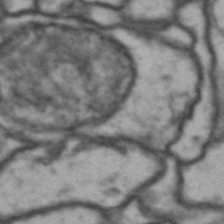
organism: Drosophila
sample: Brain